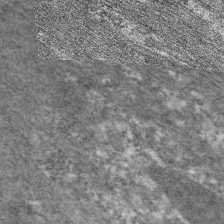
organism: C. elegans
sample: Pharynx